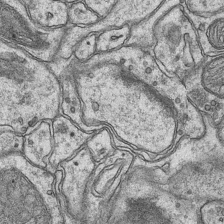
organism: Mouse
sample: CA1 Hippocampus